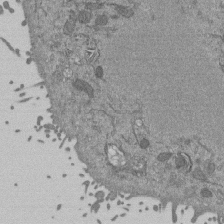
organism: Mouse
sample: ED-1 cell nuclei; centrioles